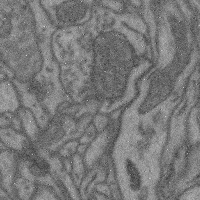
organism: Mouse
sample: Cerebral cortex